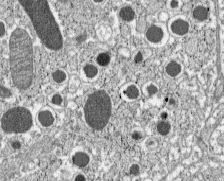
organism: C57BL Mouse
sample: Pancreatic islet